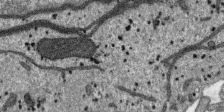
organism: Human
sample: Lung epithelial cells, uninfected (mock) control